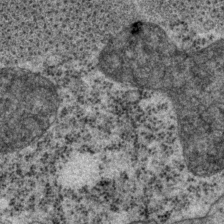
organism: P. pacificus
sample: Pharynx